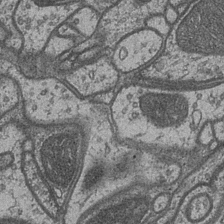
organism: Drosophila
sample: Optic medulla